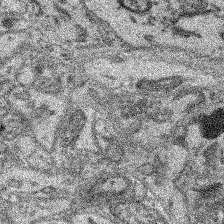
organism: Mouse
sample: Retina